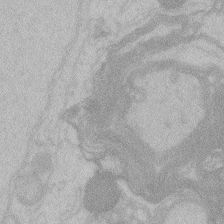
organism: Zebrafish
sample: Macrophage infected with Toxoplasma gondii